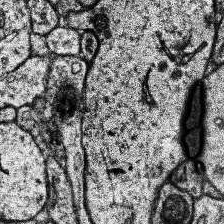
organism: Human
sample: Temporal Lobe